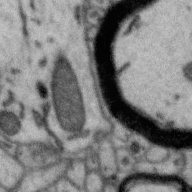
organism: Zebra finch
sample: Brain